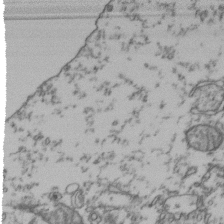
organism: Human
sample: Activated Jurkat CD4+ T cells